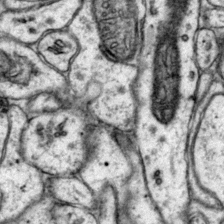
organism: Mouse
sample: Primary visual cortex